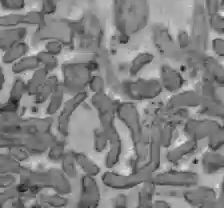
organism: C57BL Mouse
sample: Liver